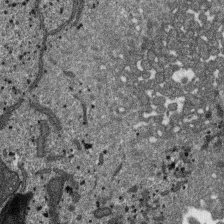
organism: Human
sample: Lung epithelial cells infected with SARS-CoV-2